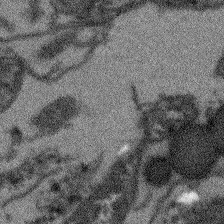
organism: Arabidopsis thaliana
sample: Root tip